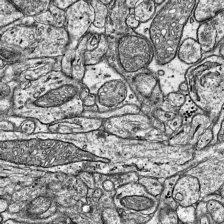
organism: Mouse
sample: Visual Cortex